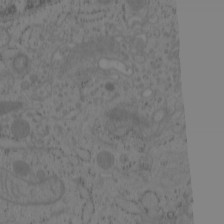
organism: Human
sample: HeLa cells